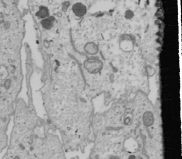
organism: Human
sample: Mitochondria in U2OS cells